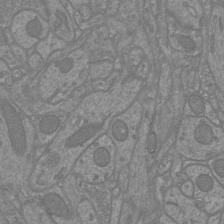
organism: Mouse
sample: Cortical neurons